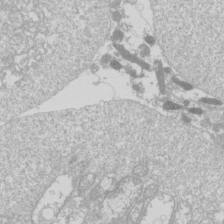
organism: Drosophila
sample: Cell division; meiosis; drosophila spermatocytes